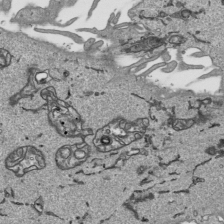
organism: Human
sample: Mitochondria in HCT116 cells